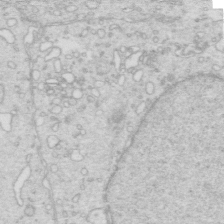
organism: Mouse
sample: Multiciliated cells